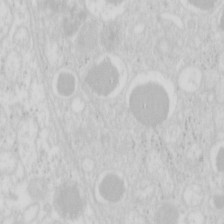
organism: Mouse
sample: Pancreas